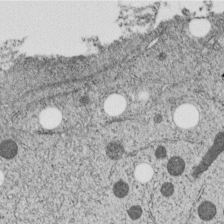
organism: C. elegans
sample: C. elegans embryo early stage